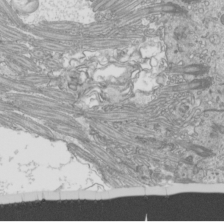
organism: Mouse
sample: Cilia; mouse epididymis